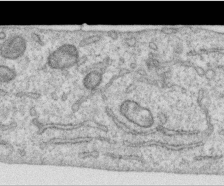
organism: Human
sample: Centriole in RPE cells